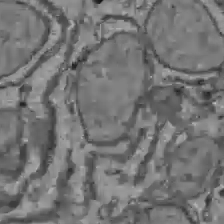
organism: C57BL Mouse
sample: Liver